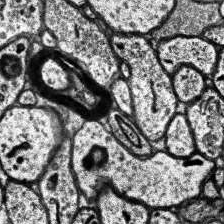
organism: Human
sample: Temporal Lobe